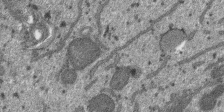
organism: Human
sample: Lung epithelial cells infected with SARS-CoV-2